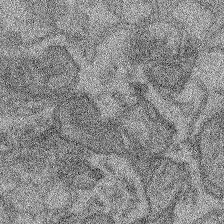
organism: Human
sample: HeLa cells